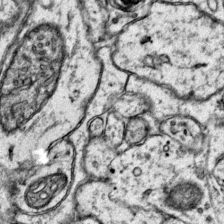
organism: Mouse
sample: Primary visual cortex